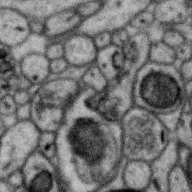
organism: Zebra finch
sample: Brain